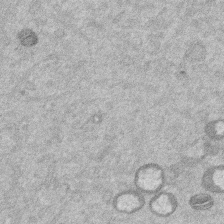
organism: Mouse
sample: Dividing mouse embryo 1 cell stage